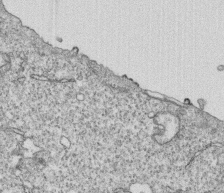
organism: Human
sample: HeLa cell HIV synapse